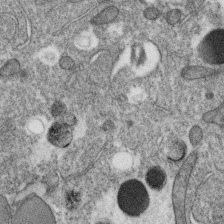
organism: C. elegans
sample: C. elegans oocyte; sperm cells